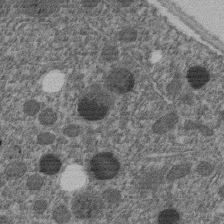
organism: C. elegans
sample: C. elegans embryo early stage